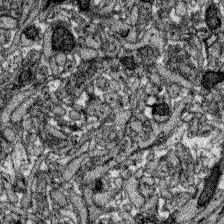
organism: Zebrafish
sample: Larval olfactory bulb